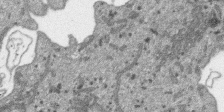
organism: Human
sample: Lung epithelial cells infected with SARS-CoV-2